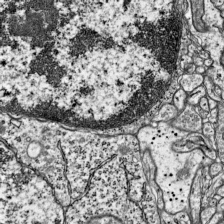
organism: Mouse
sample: Visual Cortex